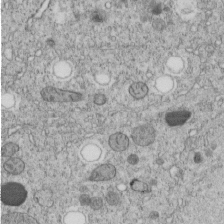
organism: C. elegans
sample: C. elegans embryo early stage